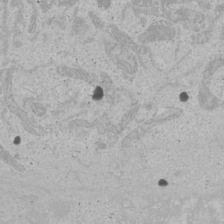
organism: Human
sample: Mitochondria in U2OS cells